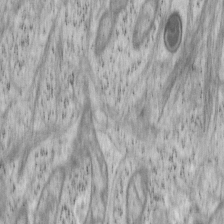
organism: Human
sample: HeLa cells